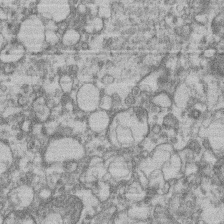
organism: Mouse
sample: T cell stromal cell synapse